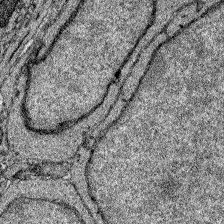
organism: Zebrafish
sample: Larval olfactory bulb